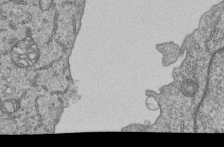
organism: Human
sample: MDA-MB-231 cells